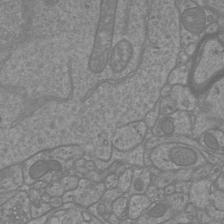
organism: Mouse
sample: Cortical neurons